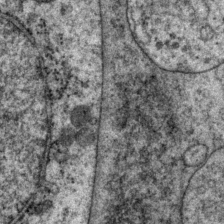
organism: P. pacificus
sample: Pharynx